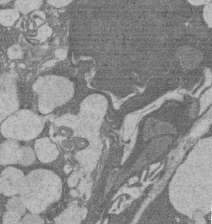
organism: Rat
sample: Salivary granule